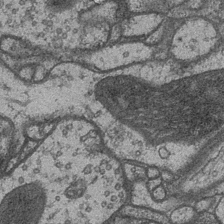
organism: Drosophila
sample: Optic medulla